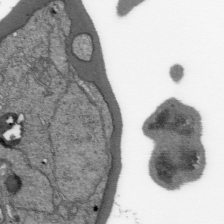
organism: Plasmodium falciparum